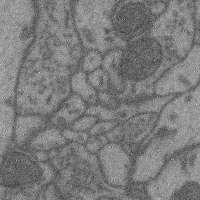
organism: Mouse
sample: Cerebral cortex